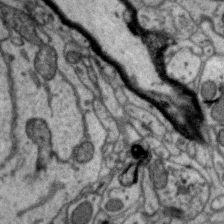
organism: Zebra finch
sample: Brain